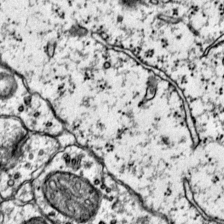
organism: Mouse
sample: Primary visual cortex